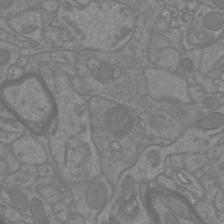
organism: Mouse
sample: Cortical neurons